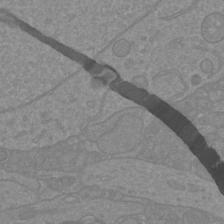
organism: Mouse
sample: Cortical neurons